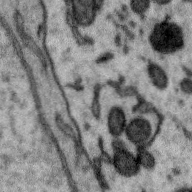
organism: Zebra finch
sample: Brain